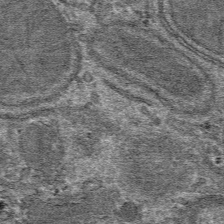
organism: Mouse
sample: Mouse hepatocytes